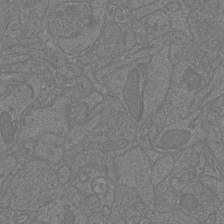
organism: Mouse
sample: Cortical neurons